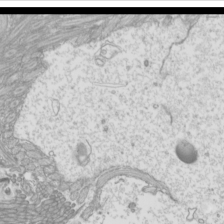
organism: Mouse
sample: Cilia; mouse epididymis